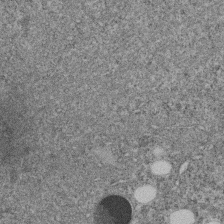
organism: C. elegans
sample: C. elegans embryo early stage